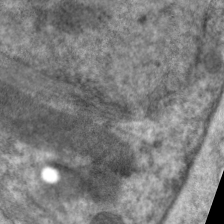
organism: C. elegans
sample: Pharynx